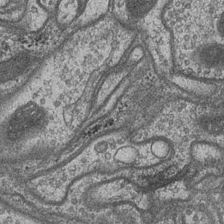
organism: Drosophila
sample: Optic medulla